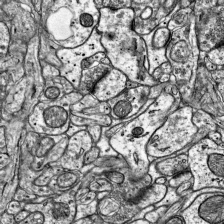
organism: Mouse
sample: Visual Cortex